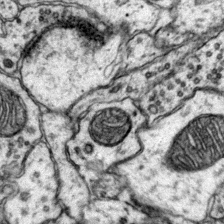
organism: Mouse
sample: Primary visual cortex